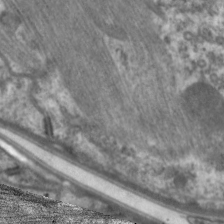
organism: C. elegans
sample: Pharynx